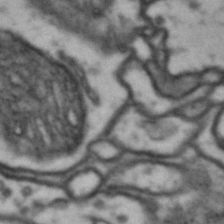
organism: Drosophila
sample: Brain